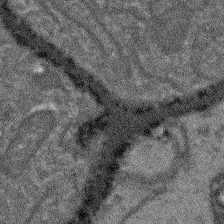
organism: Arabidopsis thaliana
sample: Root tip